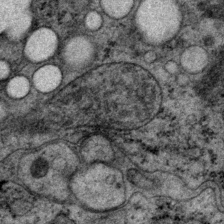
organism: P. pacificus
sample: Pharynx